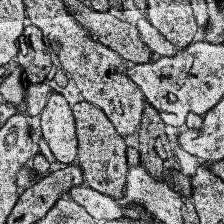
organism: Human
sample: Temporal Lobe